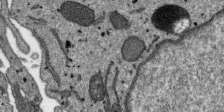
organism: Human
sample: Lung epithelial cells, uninfected (mock) control